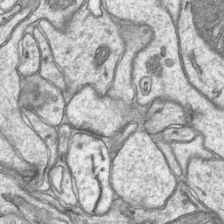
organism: Mouse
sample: CA1 Hippocampus